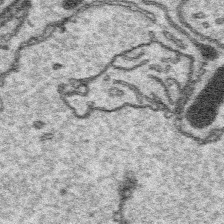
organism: Platynereis dumerilii